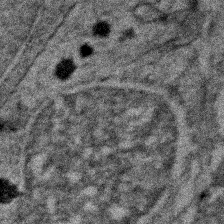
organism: Zebrafish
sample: Zebrafish embryo